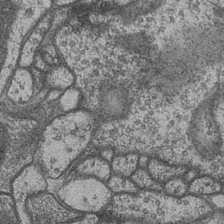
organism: Drosophila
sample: Optic medulla